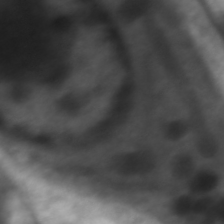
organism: C. elegans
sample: Pharynx